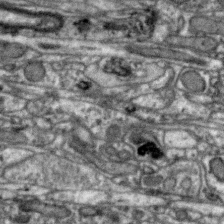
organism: Zebra finch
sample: Brain